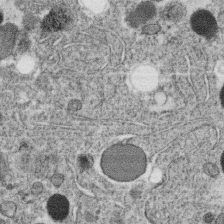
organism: C. elegans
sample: C. elegans oocyte; sperm cells